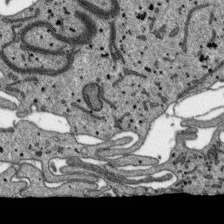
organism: Human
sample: Lung epithelial cells, uninfected (mock) control